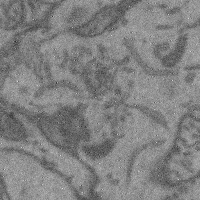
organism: Mouse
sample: Cerebral cortex